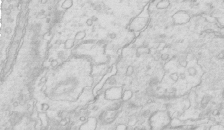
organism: Mouse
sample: Multiciliated cells